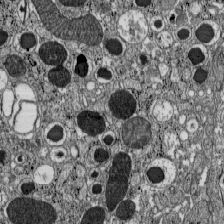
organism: C57BL Mouse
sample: Pancreatic islet